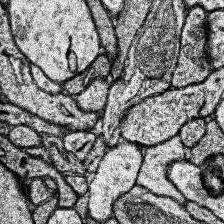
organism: Human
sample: Temporal Lobe